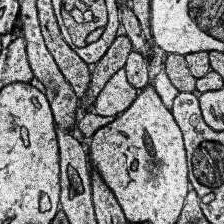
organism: Human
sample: Temporal Lobe